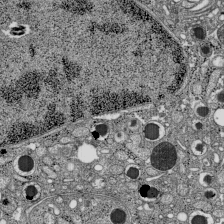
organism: C57BL Mouse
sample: Pancreatic islet